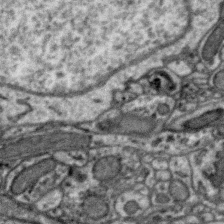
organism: Zebra finch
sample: Brain